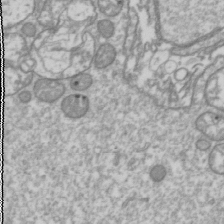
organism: Drosophila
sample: Cell division; meiosis; drosophila spermatocytes